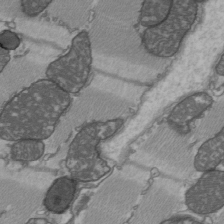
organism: C57BL Mouse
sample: Heart